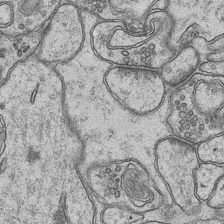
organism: Mouse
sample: CA1 Hippocampus